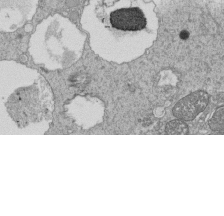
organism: Tetrahymena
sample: Cilia in tetrahymena